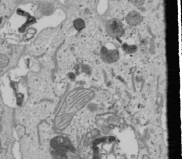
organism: Human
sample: Mitochondria in U2OS cells